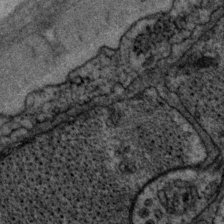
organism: P. pacificus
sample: Pharynx